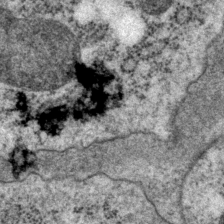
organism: P. pacificus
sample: Pharynx